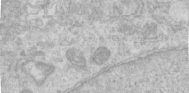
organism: Human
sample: Centriole in RPE cells